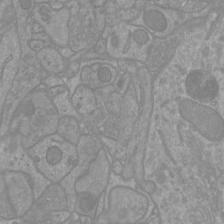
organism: Mouse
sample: Cortical neurons